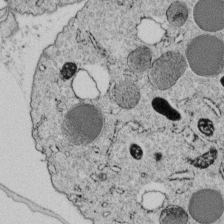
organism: C. elegans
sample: C. elegans embryo early stage